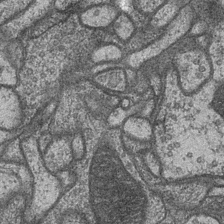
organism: Drosophila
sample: Optic medulla